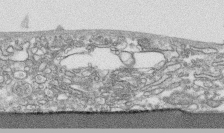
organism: Human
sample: CRL-1474